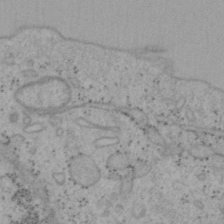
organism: Human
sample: HeLa cells